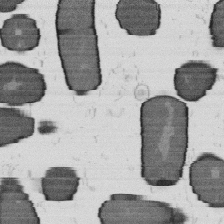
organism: B. subtilis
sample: Bacterial spore